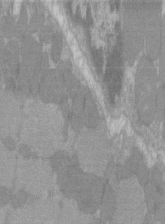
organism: C57BL Mouse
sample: Tibialis anterior muscle cell